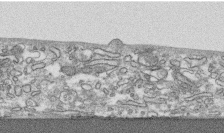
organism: Human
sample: CRL-1474